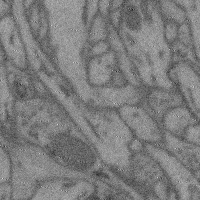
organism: Mouse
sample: Cerebral cortex